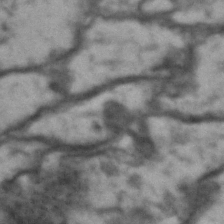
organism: Drosophila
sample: Brain